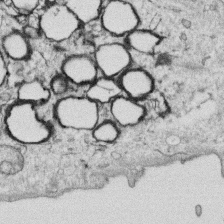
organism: Human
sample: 1205lu cells